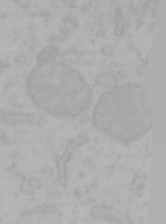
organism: Mouse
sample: Choroid plexus